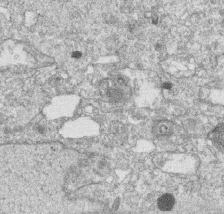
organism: Human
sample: HeLa cell HIV synapse